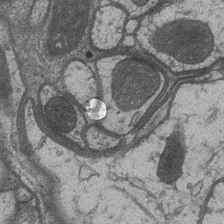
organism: Drosophila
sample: Optic medulla